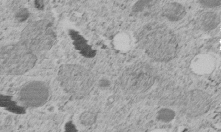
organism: C. elegans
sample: C. elegans embryo early stage